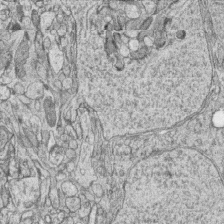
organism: Zebrafish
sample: synaptic ribbons in rod cells and cone cells